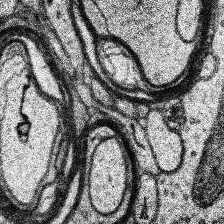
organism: Human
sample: Temporal Lobe